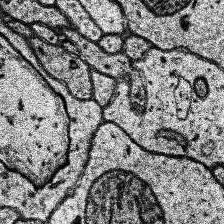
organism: Human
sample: Temporal Lobe